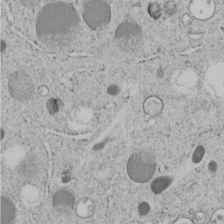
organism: C. elegans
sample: C. elegans embryo early stage